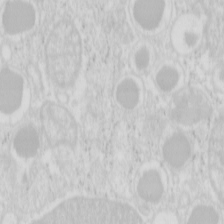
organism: Mouse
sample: Pancreas